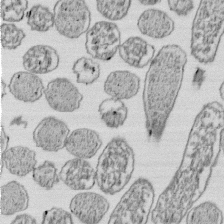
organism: E. coli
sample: Bacterial nucleoid